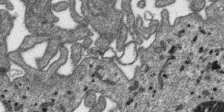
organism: Human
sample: Lung epithelial cells infected with SARS-CoV-2